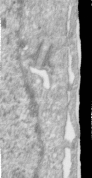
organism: Human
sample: Centriole in RPE cells